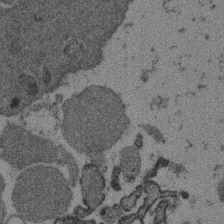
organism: Mouse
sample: Dividing mouse embryo 1 cell stage